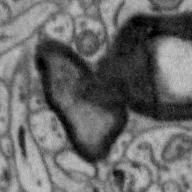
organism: Zebra finch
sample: Brain